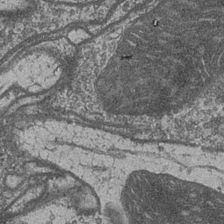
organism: Drosophila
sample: Optic medulla